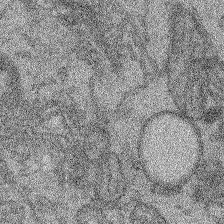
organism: Human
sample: HeLa cells